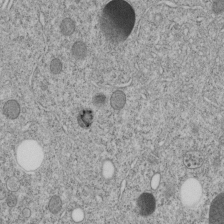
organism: C. elegans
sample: C. elegans embryo early stage